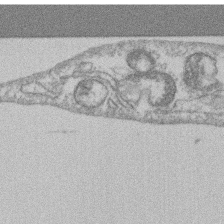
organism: Mouse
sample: T cell stromal cell synapse